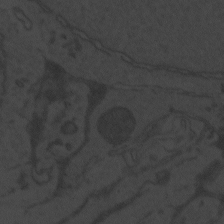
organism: Zebrafish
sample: Macrophage infected with Toxoplasma gondii